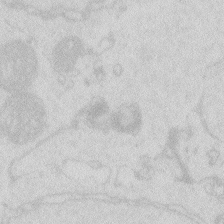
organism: Zebrafish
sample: Macrophage